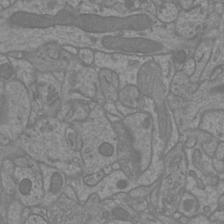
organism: Mouse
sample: Cortical neurons